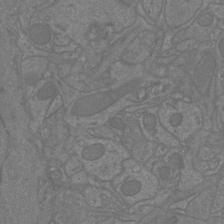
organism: Mouse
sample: Cortical neurons